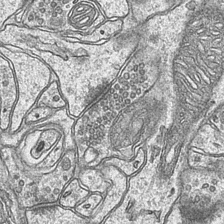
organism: Mouse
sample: CA1 Hippocampus